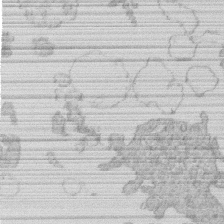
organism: Human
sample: Macrophage cells